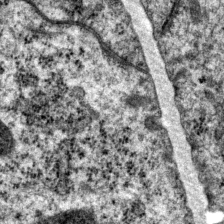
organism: P. pacificus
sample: Pharynx